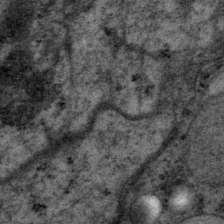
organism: P. pacificus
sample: Pharynx